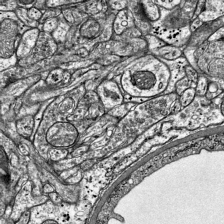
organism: Mouse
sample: Visual Cortex